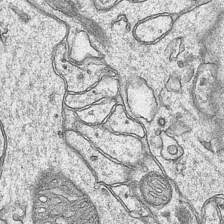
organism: Mouse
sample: CA1 Hippocampus